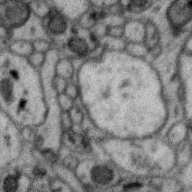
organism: Zebra finch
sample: Brain